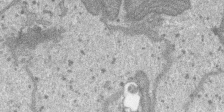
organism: Human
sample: Lung epithelial cells infected with SARS-CoV-2